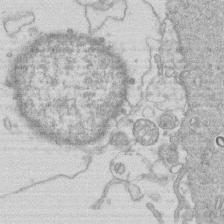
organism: Human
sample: Macrophage cells